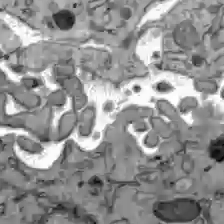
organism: C57BL Mouse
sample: Liver